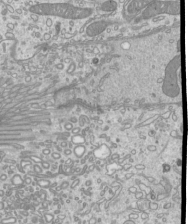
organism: Mouse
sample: Cilia; mouse epididymis